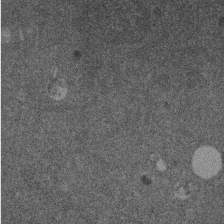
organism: Mouse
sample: Dividing mouse embryo 1 cell stage